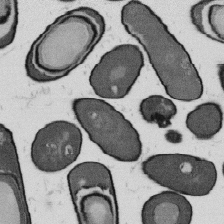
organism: B. subtilis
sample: Bacterial spore